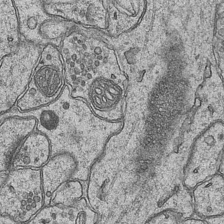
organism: Mouse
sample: CA1 Hippocampus